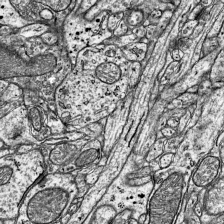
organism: Mouse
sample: Visual Cortex